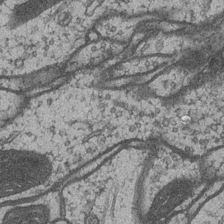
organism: Drosophila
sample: Optic medulla